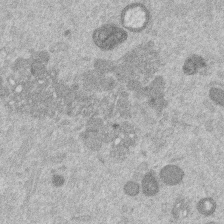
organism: Mouse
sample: Dividing mouse embryo 1 cell stage